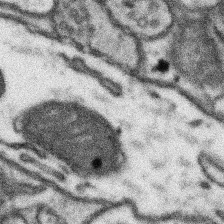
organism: Mouse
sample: Somatosensory cortex neuropil